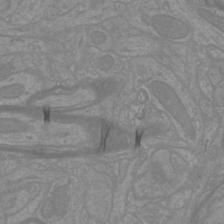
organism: Mouse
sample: Cortical neurons